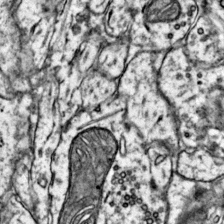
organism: Mouse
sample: Primary visual cortex